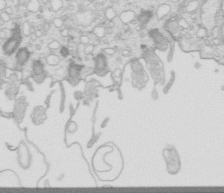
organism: Mouse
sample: Multiciliated cells